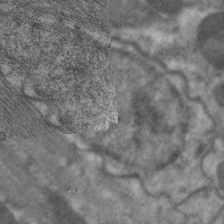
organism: C. elegans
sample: Pharynx